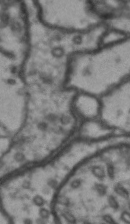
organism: Drosophila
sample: Brain